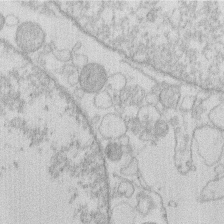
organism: Human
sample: Macrophage cells